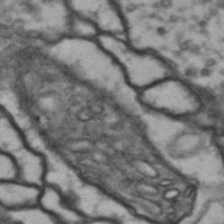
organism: Drosophila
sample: Brain